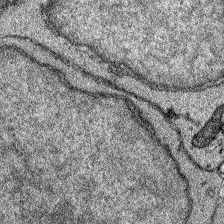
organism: Zebrafish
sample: Larval olfactory bulb